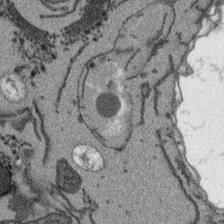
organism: Arabidopsis thaliana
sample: Root tip